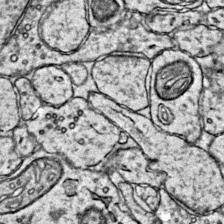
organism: Mouse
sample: Primary visual cortex